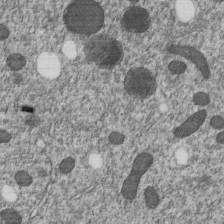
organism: C. elegans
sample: C. elegans embryo early stage